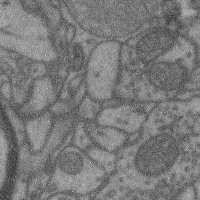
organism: Mouse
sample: Cerebral cortex